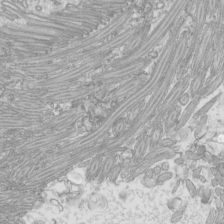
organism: Mouse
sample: Cilia; mouse epididymis